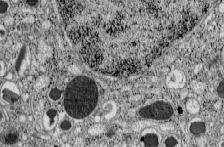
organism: C57BL Mouse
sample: Pancreatic islet